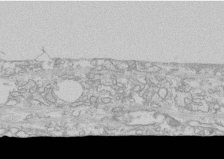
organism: Human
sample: CRL-1474